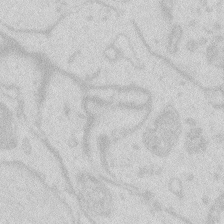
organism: Zebrafish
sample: Macrophage